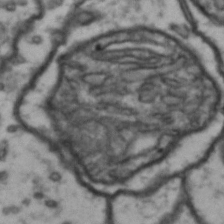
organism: Drosophila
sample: Brain